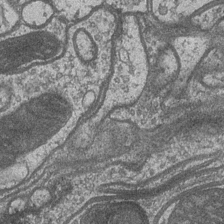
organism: Drosophila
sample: Optic medulla